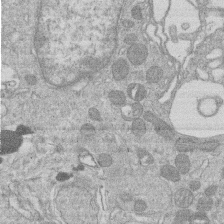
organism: Human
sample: Macrophage cells